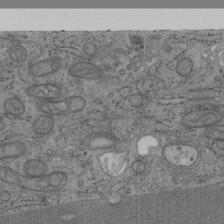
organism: Human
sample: HeLa cells